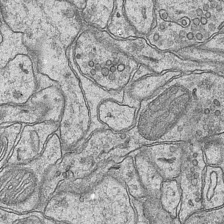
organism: Mouse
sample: CA1 Hippocampus